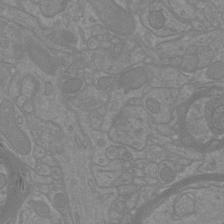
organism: Mouse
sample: Cortical neurons